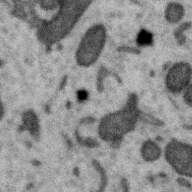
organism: Zebra finch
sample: Brain